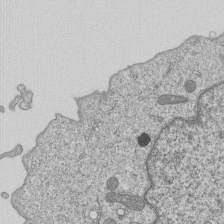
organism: Human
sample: MDA-MB-231 cells